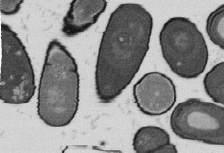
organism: B. subtilis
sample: Bacterial spore